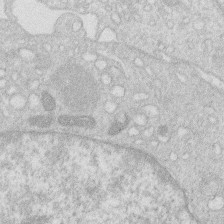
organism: Human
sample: Macrophage cells